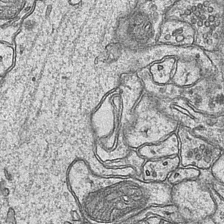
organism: Mouse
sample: CA1 Hippocampus